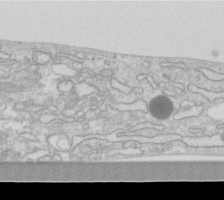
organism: Human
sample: Fibroblast cells